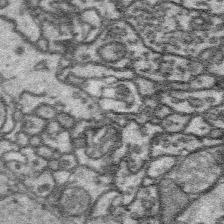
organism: Platynereis dumerilii